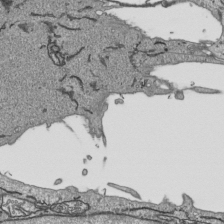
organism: Human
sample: Mitochondria in HCT116 cells